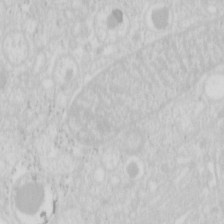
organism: Mouse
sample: Pancreas